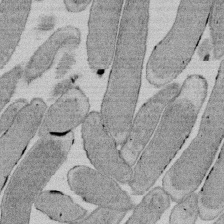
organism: E. coli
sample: Bacterial nucleoid